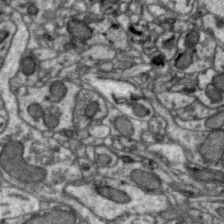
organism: Zebra finch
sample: Brain